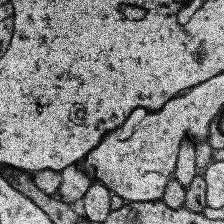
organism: Human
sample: Temporal Lobe